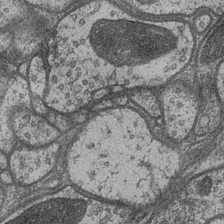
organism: Drosophila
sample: Optic medulla